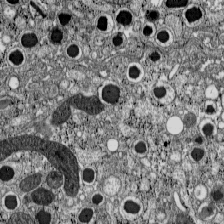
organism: C57BL Mouse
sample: Pancreatic islet